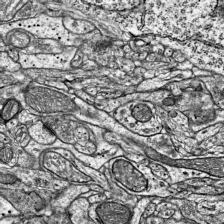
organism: Mouse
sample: Visual Cortex